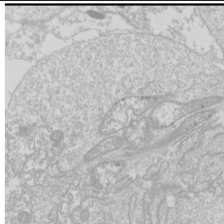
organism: Drosophila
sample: Cell division; meiosis; drosophila spermatocytes